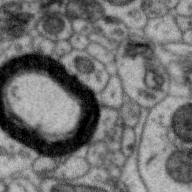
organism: Zebra finch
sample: Brain